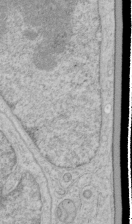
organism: Human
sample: Mitochondria in HCT116 cells